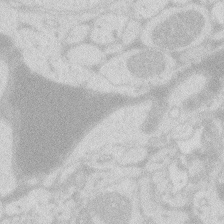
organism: Zebrafish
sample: Macrophage